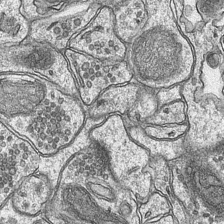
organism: Mouse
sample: CA1 Hippocampus